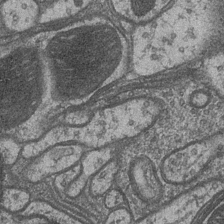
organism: Drosophila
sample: Optic medulla